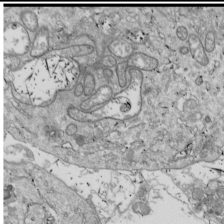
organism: Drosophila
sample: Cell division; meiosis; drosophila spermatocytes